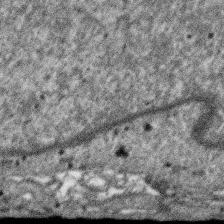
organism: Human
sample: Lung epithelial cells infected with SARS-CoV-2